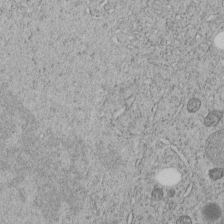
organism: C. elegans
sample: C. elegans embryo early stage